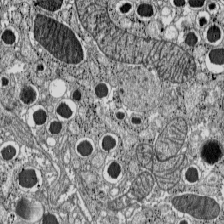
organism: C57BL Mouse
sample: Pancreatic islet